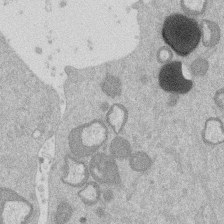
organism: Mouse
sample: Dividing mouse embryo 1 cell stage